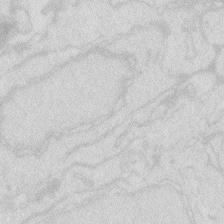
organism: Zebrafish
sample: Macrophage